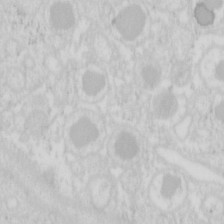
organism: Mouse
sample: Pancreas